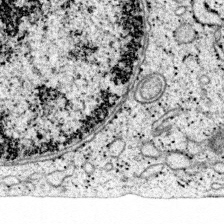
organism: Human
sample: HeLa cells